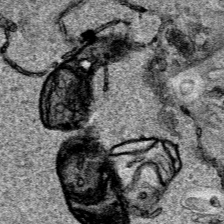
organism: Human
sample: Mitochondria in HCT116 cells